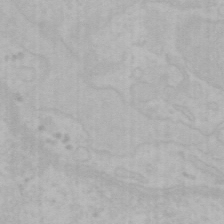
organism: Mouse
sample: Choroid plexus